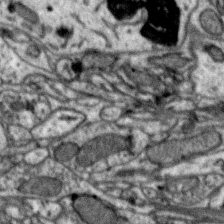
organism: Zebra finch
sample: Brain